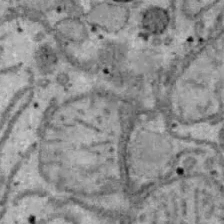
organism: Mouse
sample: Liver from an obese (ob/ob) mouse